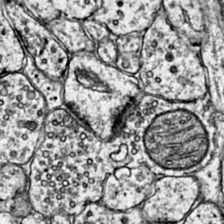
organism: Mouse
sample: Primary visual cortex